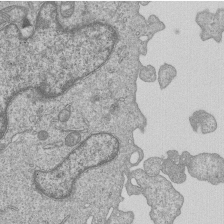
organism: Human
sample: MDA-MB-231 cells